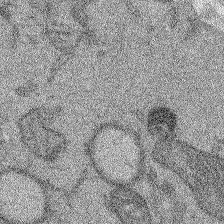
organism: Human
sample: HeLa cells